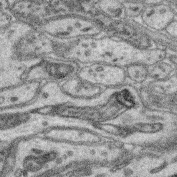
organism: Mouse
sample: Retina